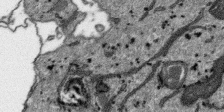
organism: Human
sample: Lung epithelial cells, uninfected (mock) control